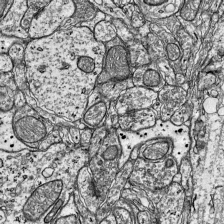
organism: Mouse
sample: Visual Cortex